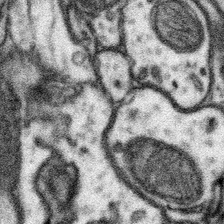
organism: Mouse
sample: Somatosensory cortex neuropil